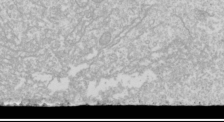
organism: Drosophila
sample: Cell division; meiosis; drosophila spermatocytes